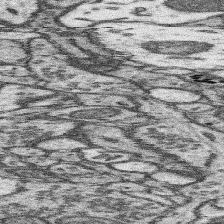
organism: Mouse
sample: Somatosensory cortex neuropil